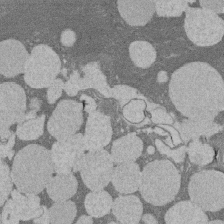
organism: Rat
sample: Salivary granule